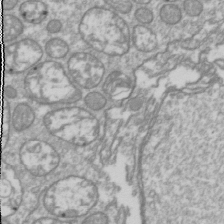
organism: Drosophila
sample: Cell division; meiosis; drosophila spermatocytes